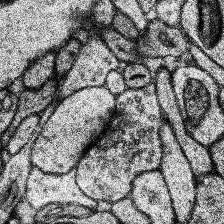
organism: Human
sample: Temporal Lobe